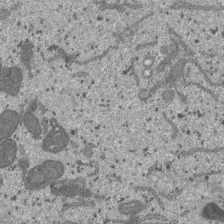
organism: Human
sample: Lung epithelial cells infected with SARS-CoV-2